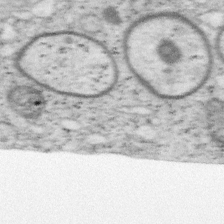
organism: Mouse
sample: OT-I killer T cells with ID8 ovarian cancer cells